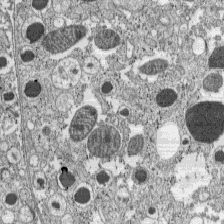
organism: C57BL Mouse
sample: Pancreatic islet